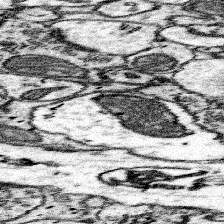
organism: Mouse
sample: Somatosensory cortex neuropil